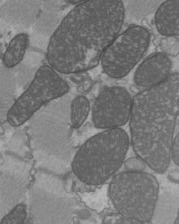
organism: C57BL Mouse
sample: Heart